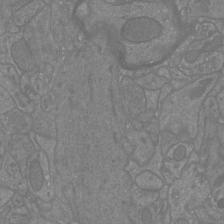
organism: Mouse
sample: Cortical neurons